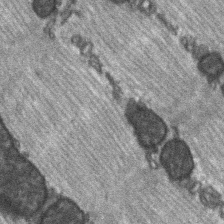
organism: C57BL Mouse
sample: Soleus